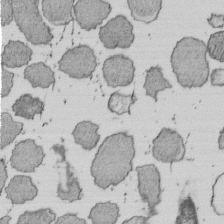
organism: E. coli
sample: Bacterial nucleoid